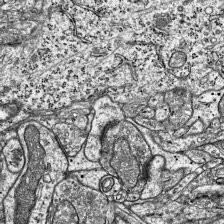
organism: Mouse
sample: Visual Cortex